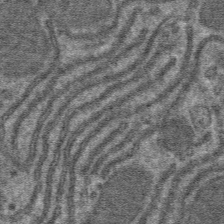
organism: Mouse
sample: Mouse hepatocytes